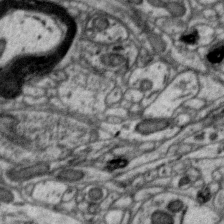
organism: Zebra finch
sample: Brain